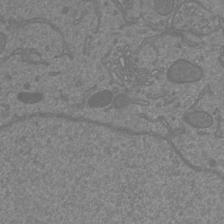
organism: Mouse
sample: Cortical neurons